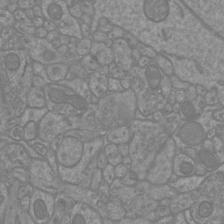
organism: Mouse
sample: Cortical neurons